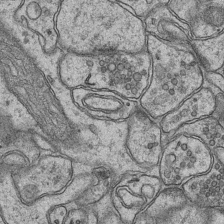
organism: Mouse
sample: CA1 Hippocampus